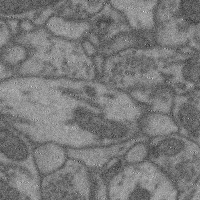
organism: Mouse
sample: Cerebral cortex